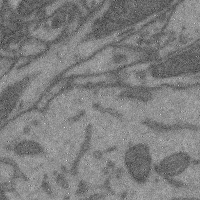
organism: Mouse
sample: Cerebral cortex